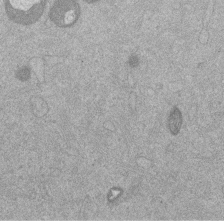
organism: Mouse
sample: Dividing mouse embryo 1 cell stage